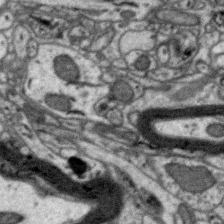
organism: Zebra finch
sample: Brain